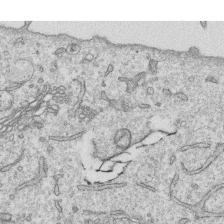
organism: Human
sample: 1205lu cells